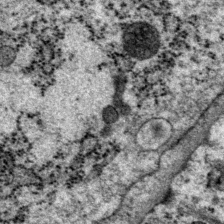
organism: P. pacificus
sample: Pharynx